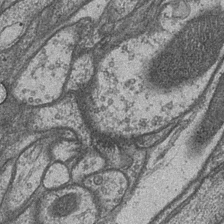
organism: Drosophila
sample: Optic medulla